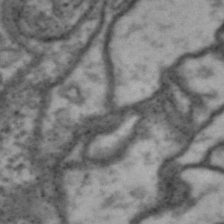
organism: Drosophila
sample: Brain